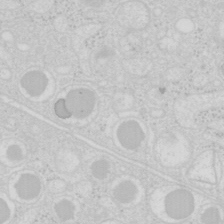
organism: Mouse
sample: Pancreas